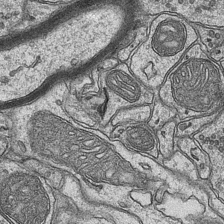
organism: Mouse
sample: CA1 Hippocampus